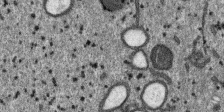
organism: Human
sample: Lung epithelial cells infected with SARS-CoV-2